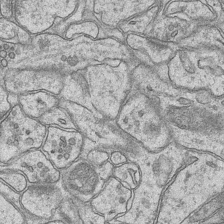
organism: Mouse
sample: CA1 Hippocampus